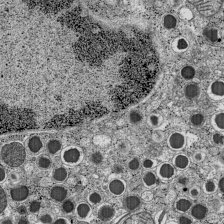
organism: C57BL Mouse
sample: Pancreatic islet